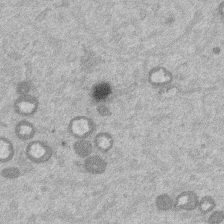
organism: Mouse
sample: Dividing mouse embryo 1 cell stage